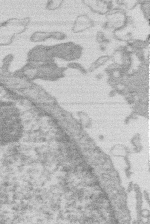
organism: Human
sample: Macrophage cells